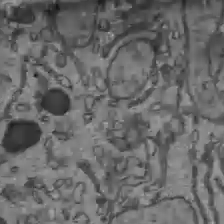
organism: C57BL Mouse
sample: Liver